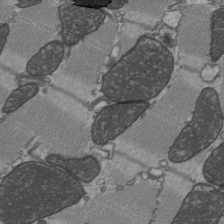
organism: C57BL Mouse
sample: Heart